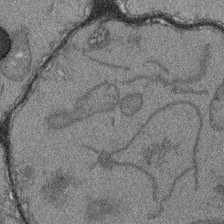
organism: Arabidopsis thaliana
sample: Root tip